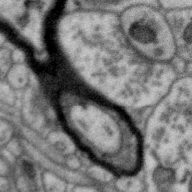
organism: Zebra finch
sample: Brain